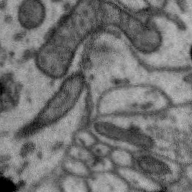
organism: Zebra finch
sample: Brain